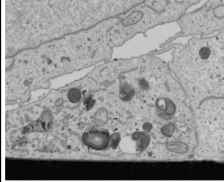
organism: Human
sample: Mitochondria in U2OS cells